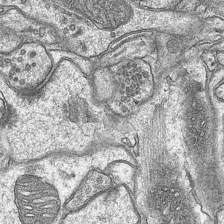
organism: Mouse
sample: CA1 Hippocampus